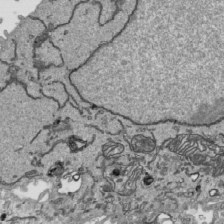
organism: Human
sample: Mitochondria in HCT116 cells